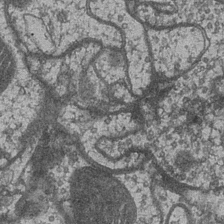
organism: Drosophila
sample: Optic medulla